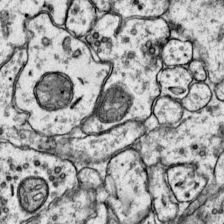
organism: Mouse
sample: Primary visual cortex